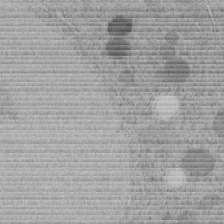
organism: C. elegans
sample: C. elegans embryo early stage